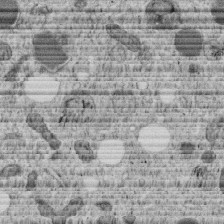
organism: C. elegans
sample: C. elegans embryo early stage